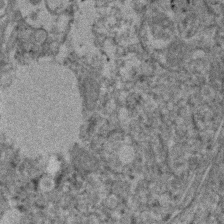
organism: Human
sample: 1205lu cells